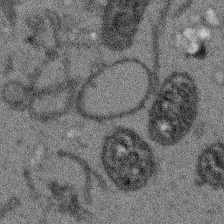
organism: Arabidopsis thaliana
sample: Root tip